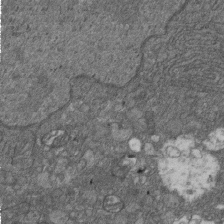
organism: Drosophila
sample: Nephrocyte